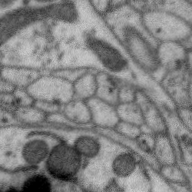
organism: Zebra finch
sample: Brain